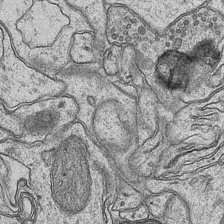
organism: Mouse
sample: CA1 Hippocampus